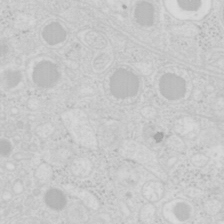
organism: Mouse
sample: Pancreas